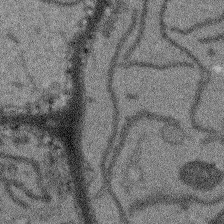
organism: Arabidopsis thaliana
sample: Root tip